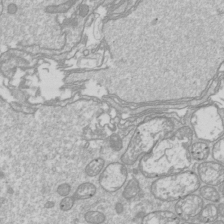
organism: Drosophila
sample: Cell division; meiosis; drosophila spermatocytes